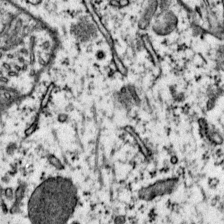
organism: Mouse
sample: Primary visual cortex